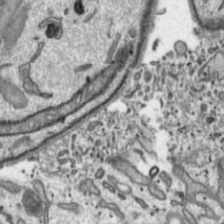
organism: Toxoplasma gondii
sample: Parasites in a vacuole inside a host cell